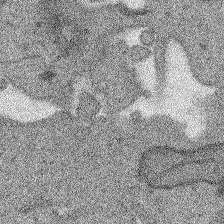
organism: Human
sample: HeLa cells